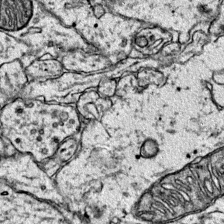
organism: Mouse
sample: Primary visual cortex